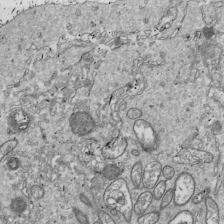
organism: Drosophila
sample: Cell division; meiosis; drosophila spermatocytes